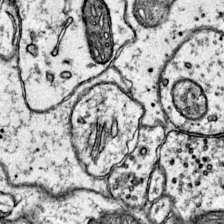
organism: Mouse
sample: Primary visual cortex